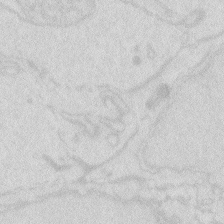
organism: Zebrafish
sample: Macrophage